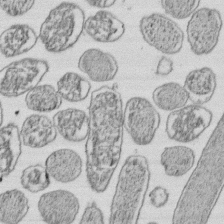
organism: E. coli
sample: Bacterial nucleoid